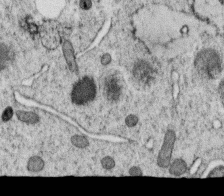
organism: C. elegans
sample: C. elegans oocyte; sperm cells